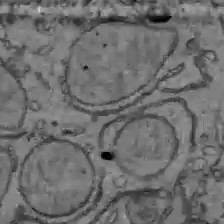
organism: C57BL Mouse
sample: Liver